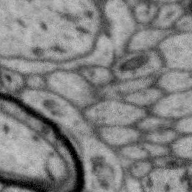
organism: Zebra finch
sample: Brain